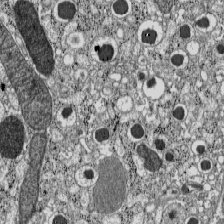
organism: C57BL Mouse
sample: Pancreatic islet